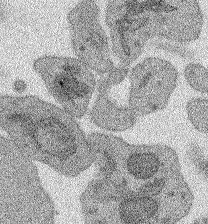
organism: Human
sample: HeLa cells